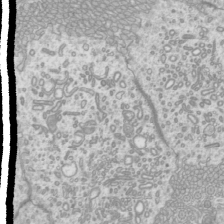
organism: Mouse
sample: Cilia; mouse epididymis